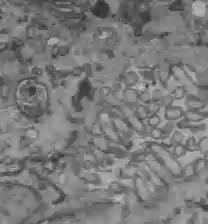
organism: C57BL Mouse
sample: Liver